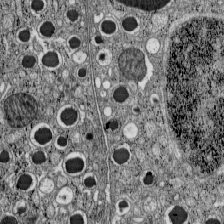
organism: C57BL Mouse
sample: Pancreatic islet